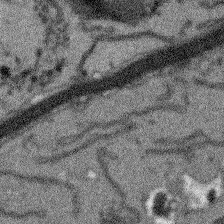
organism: Arabidopsis thaliana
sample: Root tip